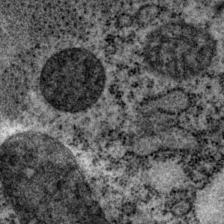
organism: P. pacificus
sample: Pharynx